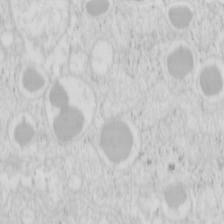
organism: Mouse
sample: Pancreas